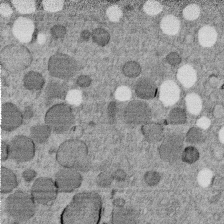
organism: C. elegans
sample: C. elegans embryo early stage